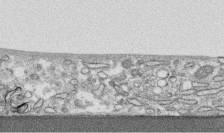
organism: Human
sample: CRL-1474